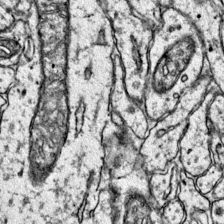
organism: Mouse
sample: Primary visual cortex